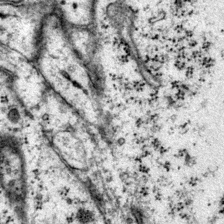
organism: Mouse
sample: Primary visual cortex